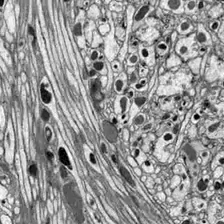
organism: Drosophila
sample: Optic lobe